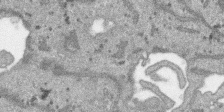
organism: Human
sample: Lung epithelial cells infected with SARS-CoV-2